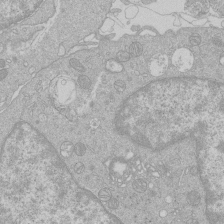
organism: Human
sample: Macrophage cells